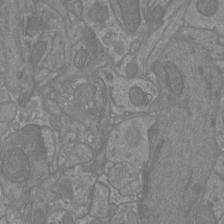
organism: Mouse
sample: Cortical neurons